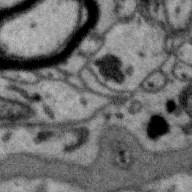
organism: Zebra finch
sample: Brain